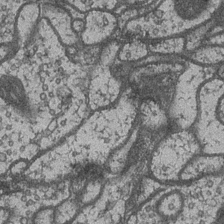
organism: Drosophila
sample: Optic medulla